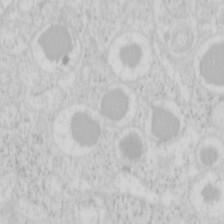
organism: Mouse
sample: Pancreas